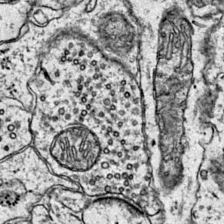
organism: Mouse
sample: Primary visual cortex